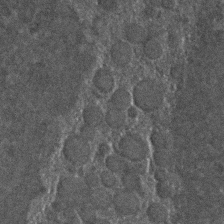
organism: C. elegans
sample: C. elegans embryo